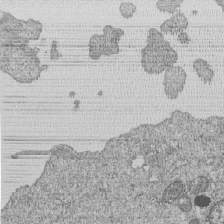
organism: Human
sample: MDA-MB-231 cells